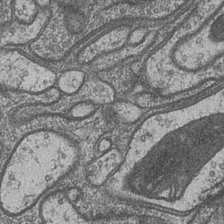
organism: Drosophila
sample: Optic medulla